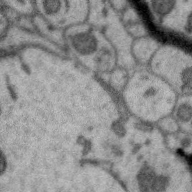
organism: Zebra finch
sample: Brain